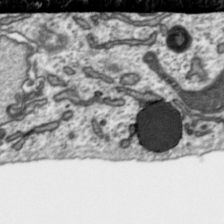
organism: Toxoplasma gondii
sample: Parasites in a vacuole inside a host cell